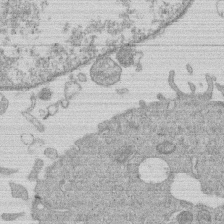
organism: Human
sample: Macrophage cells